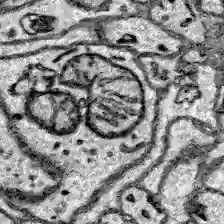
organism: Zebrafish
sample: Brain